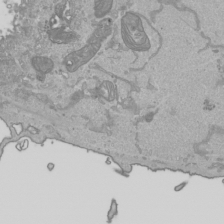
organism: Human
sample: Mitochondria in HCT116 cells